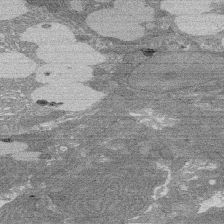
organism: Rat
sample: Salivary granule